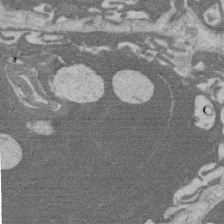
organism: Rat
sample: Salivary granule